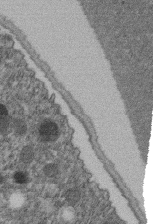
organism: C. elegans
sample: C. elegans embryo early stage